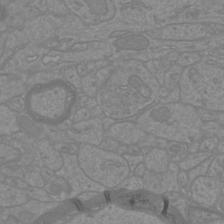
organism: Mouse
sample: Cortical neurons